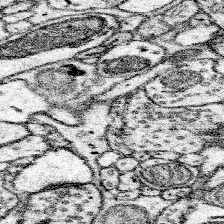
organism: Mouse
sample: Somatosensory cortex neuropil